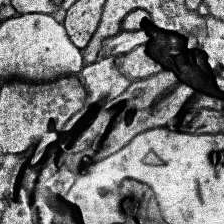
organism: Human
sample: Temporal Lobe